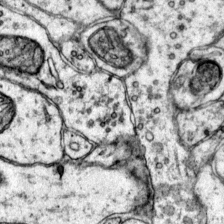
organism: Mouse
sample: Primary visual cortex